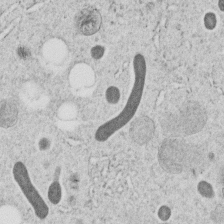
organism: C. elegans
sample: C. elegans embryo early stage